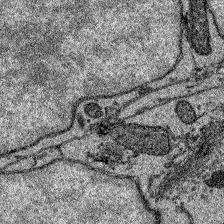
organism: Zebrafish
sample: Larval olfactory bulb